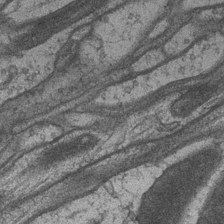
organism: Drosophila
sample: Optic medulla